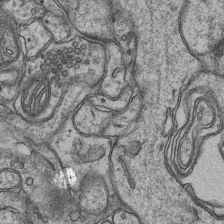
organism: Mouse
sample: CA1 Hippocampus